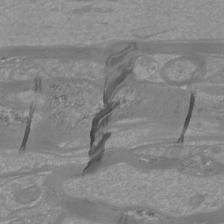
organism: Mouse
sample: Cortical neurons